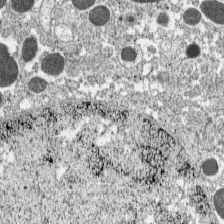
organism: C57BL Mouse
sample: Pancreatic islet